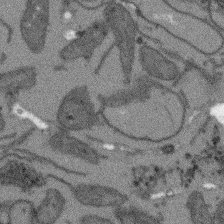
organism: Arabidopsis thaliana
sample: Root tip